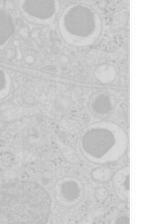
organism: Mouse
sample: Pancreas